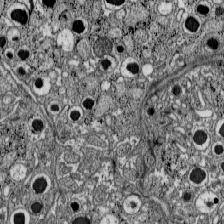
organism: C57BL Mouse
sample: Pancreatic islet